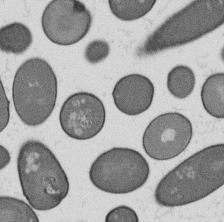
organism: B. subtilis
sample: Bacterial spore